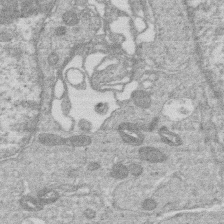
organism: Human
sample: Macrophage cells